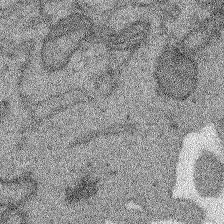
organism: Human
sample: HeLa cells